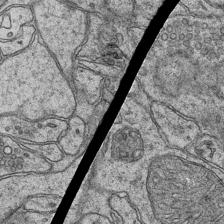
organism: Mouse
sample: CA1 Hippocampus